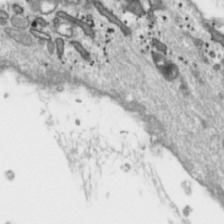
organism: Toxoplasma gondii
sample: Parasites in a vacuole inside a host cell